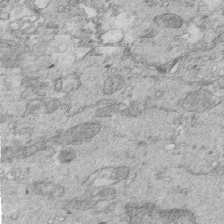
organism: Mouse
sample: Multiciliated cells